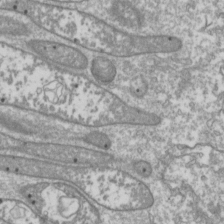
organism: Drosophila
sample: Cell division; meiosis; drosophila spermatocytes